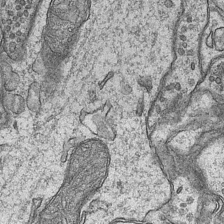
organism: Mouse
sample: CA1 Hippocampus